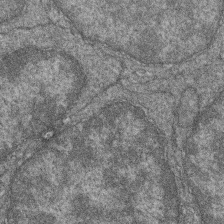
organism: Zebrafish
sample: Cilia; retinal pigment epithelium